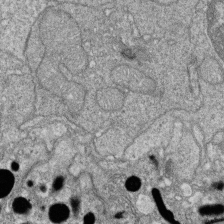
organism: Zebrafish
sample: Cilia; retinal pigment epithelium